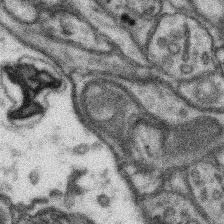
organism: Mouse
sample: Somatosensory cortex neuropil